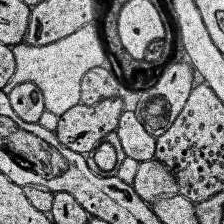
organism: Human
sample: Temporal Lobe